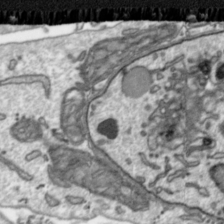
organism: Toxoplasma gondii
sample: Parasites in a vacuole inside a host cell